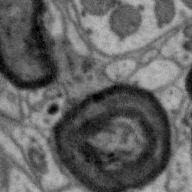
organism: Zebra finch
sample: Brain